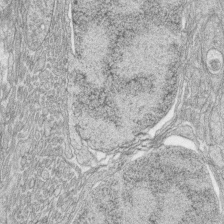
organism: Zebrafish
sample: synaptic ribbons in rod cells and cone cells